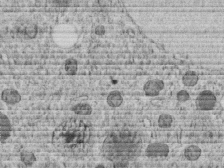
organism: C. elegans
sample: C. elegans embryo early stage